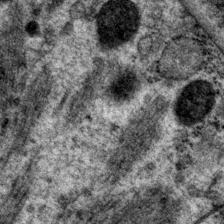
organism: P. pacificus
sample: Pharynx